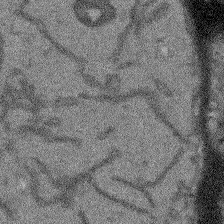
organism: Arabidopsis thaliana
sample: Root tip